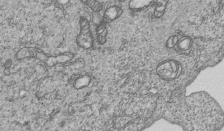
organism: Human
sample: MDA-MB-231 cells